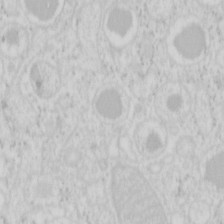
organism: Mouse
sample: Pancreas